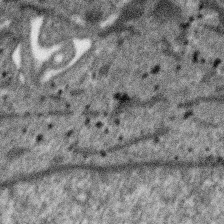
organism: Human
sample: Lung epithelial cells infected with SARS-CoV-2